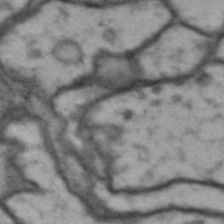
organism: Drosophila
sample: Brain